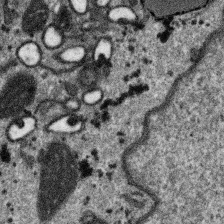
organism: Human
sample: Lung epithelial cells infected with SARS-CoV-2